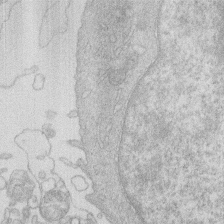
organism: Human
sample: Macrophage cells